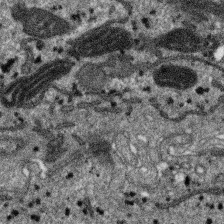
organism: Human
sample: Lung epithelial cells infected with SARS-CoV-2